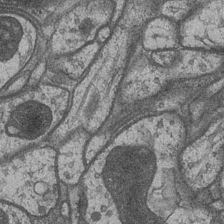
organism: Drosophila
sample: Optic medulla